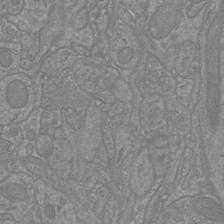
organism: Mouse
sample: Cortical neurons